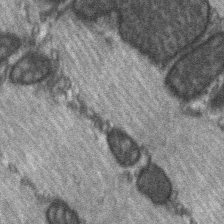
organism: C57BL Mouse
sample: Soleus